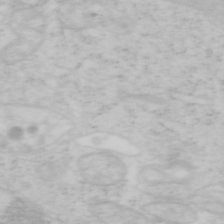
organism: Mouse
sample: OT-I killer T cells with ID8 ovarian cancer cells